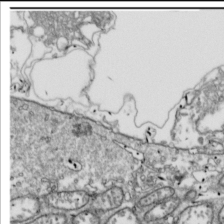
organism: Drosophila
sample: Cell division; meiosis; drosophila spermatocytes